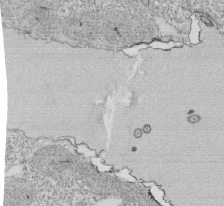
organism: Tetrahymena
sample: Cilia in tetrahymena